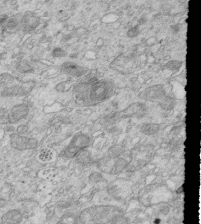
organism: Mouse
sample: Multiciliated cells